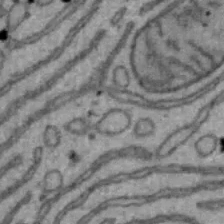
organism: Mouse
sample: Liver